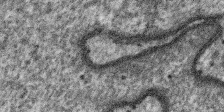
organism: Human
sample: Lung epithelial cells infected with SARS-CoV-2